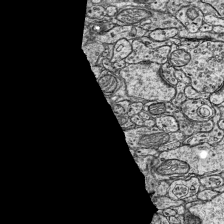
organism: Mouse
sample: Visual Cortex